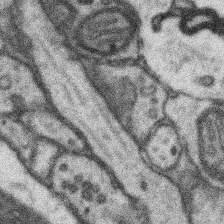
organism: Mouse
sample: Somatosensory cortex neuropil